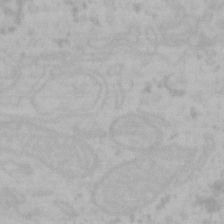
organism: Mouse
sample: Choroid plexus